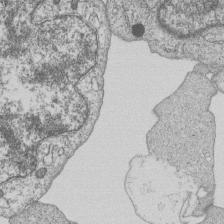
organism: Human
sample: MDA-MB-231 cells